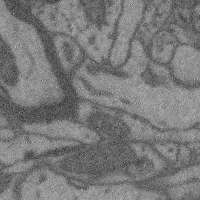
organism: Mouse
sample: Cerebral cortex